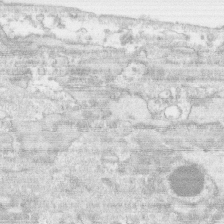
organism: Human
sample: CRL-1474